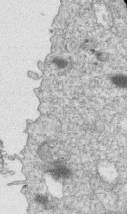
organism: Human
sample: HeLa cell HIV synapse